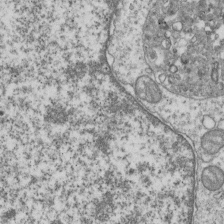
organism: Human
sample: MDA-MB-231 cells